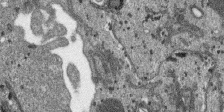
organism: Human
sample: Lung epithelial cells infected with SARS-CoV-2